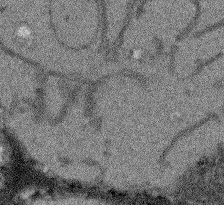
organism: Arabidopsis thaliana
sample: Root tip